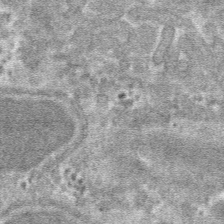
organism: Mouse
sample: Mouse hepatocytes